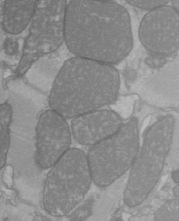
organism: C57BL Mouse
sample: Heart